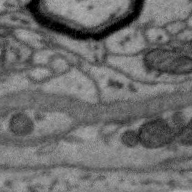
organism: Zebra finch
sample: Brain